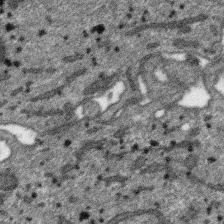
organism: Human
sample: Lung epithelial cells infected with SARS-CoV-2